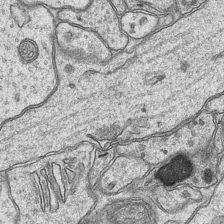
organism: Mouse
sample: CA1 Hippocampus